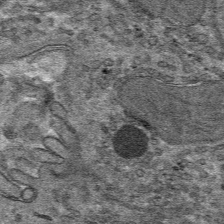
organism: Mouse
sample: Mouse hepatocytes